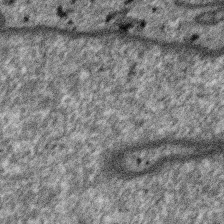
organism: Human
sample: Lung epithelial cells infected with SARS-CoV-2